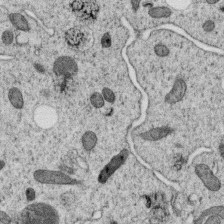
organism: C. elegans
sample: C. elegans oocyte; sperm cells